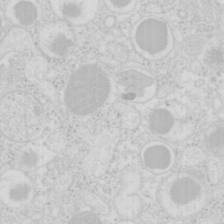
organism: Mouse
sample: Pancreas